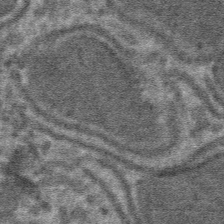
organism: Mouse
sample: Mouse hepatocytes